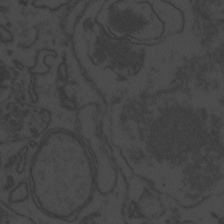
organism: Zebrafish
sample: Macrophage infected with Toxoplasma gondii